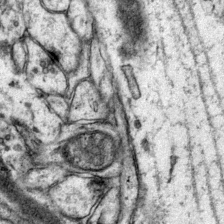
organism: Mouse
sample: Primary visual cortex